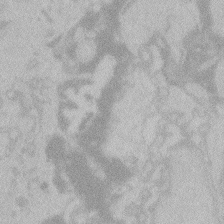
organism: Zebrafish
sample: Macrophage infected with Toxoplasma gondii